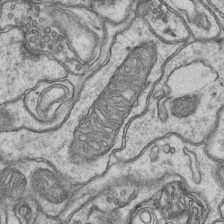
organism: Mouse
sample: CA1 Hippocampus